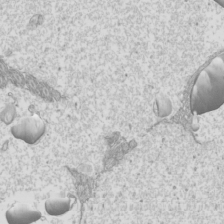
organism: Mouse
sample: Cilia; mouse epididymis